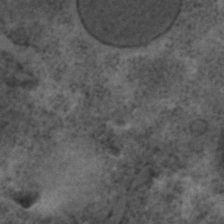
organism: C. elegans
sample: C. elegans embryo